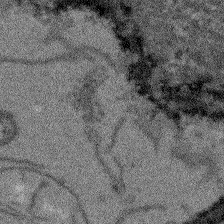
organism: Arabidopsis thaliana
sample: Root tip